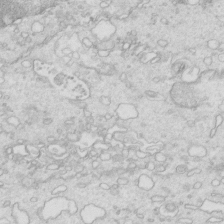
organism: Mouse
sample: Multiciliated cells